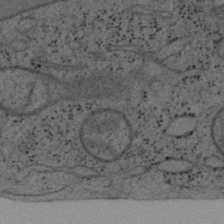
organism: Human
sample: HeLa cells